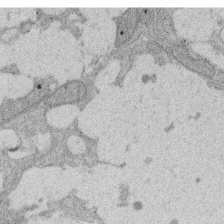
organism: Rat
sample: Salivary granule